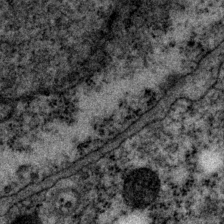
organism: P. pacificus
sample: Pharynx